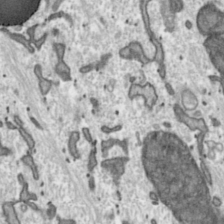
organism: Toxoplasma gondii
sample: Parasites in a vacuole inside a host cell